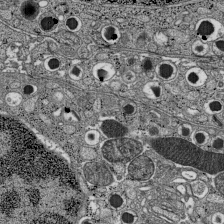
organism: C57BL Mouse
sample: Pancreatic islet